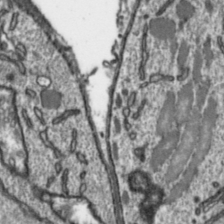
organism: Toxoplasma gondii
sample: Parasites in a vacuole inside a host cell